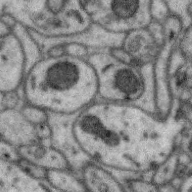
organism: Zebra finch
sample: Brain